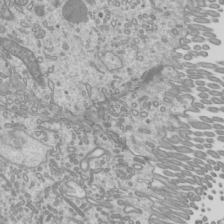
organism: Mouse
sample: Cilia; mouse epididymis